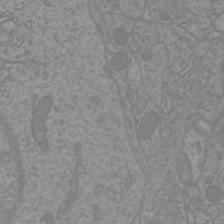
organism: Mouse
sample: Cortical neurons